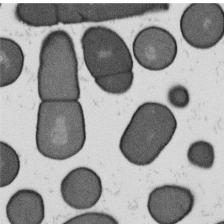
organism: B. subtilis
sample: Bacterial spore